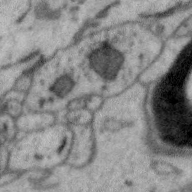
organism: Zebra finch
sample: Brain